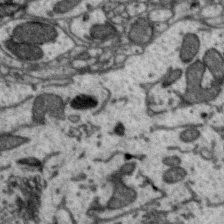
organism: Zebra finch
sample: Brain